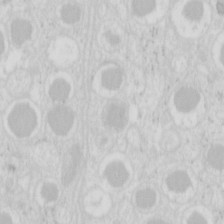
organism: Mouse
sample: Pancreas